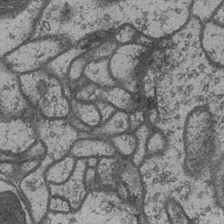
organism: Drosophila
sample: Optic medulla